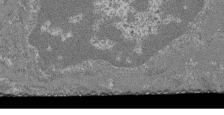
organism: Mouse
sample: Glomerulus